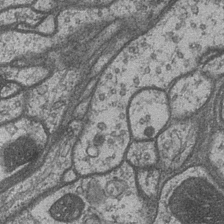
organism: Drosophila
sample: Optic medulla